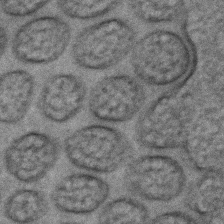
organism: C. elegans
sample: C. elegans embryo